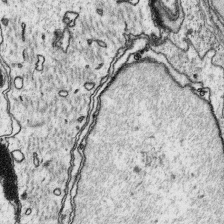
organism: Platynereis dumerilii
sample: Parapodia